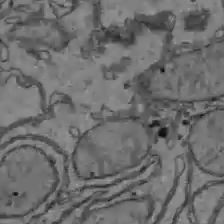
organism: C57BL Mouse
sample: Liver